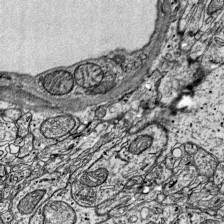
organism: Mouse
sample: Visual Cortex